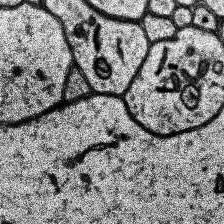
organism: Human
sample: Temporal Lobe